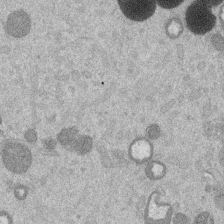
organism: Mouse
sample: Dividing mouse embryo 1 cell stage